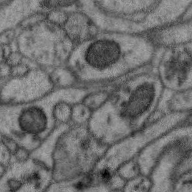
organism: Zebra finch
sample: Brain